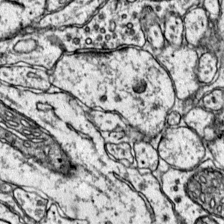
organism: Mouse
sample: Primary visual cortex